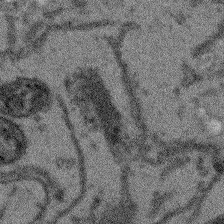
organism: Arabidopsis thaliana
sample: Root tip